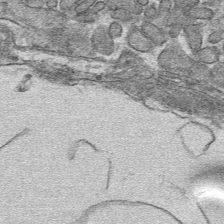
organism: Mouse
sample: Mouse hepatocytes